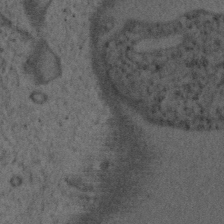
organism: Human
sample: HeLa cells